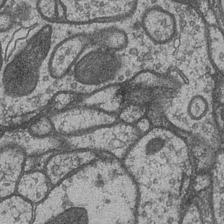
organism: Drosophila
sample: Optic medulla